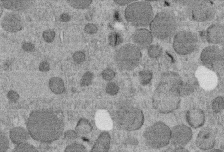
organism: C. elegans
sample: C. elegans embryo early stage